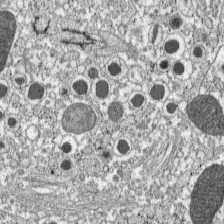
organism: C57BL Mouse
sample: Pancreatic islet